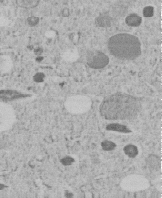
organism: C. elegans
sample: C. elegans embryo early stage